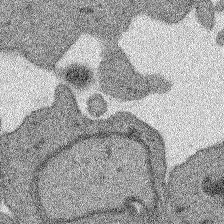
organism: Human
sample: HeLa cells